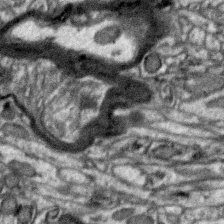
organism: Zebra finch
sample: Brain